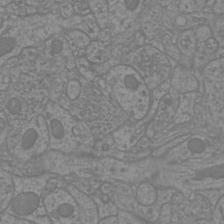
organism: Mouse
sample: Cortical neurons